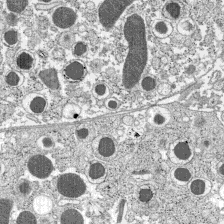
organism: C57BL Mouse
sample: Pancreatic islet